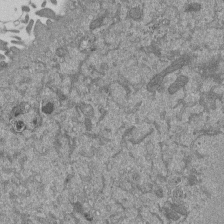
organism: Mouse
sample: ED-1 cell nuclei; centrioles